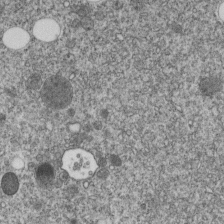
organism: C. elegans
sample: C. elegans embryo early stage